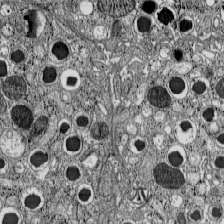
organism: C57BL Mouse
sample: Pancreatic islet